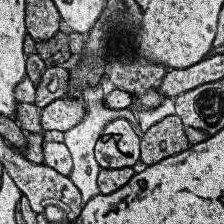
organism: Human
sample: Temporal Lobe